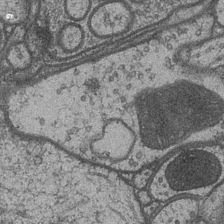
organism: Drosophila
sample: Optic medulla